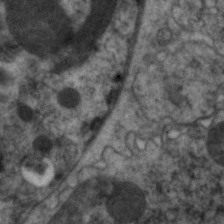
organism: C. elegans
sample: Pharynx